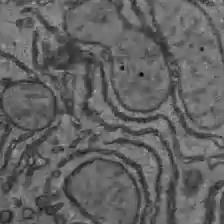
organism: C57BL Mouse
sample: Liver